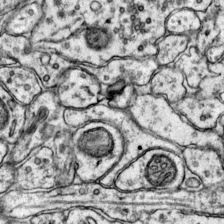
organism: Mouse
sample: Primary visual cortex